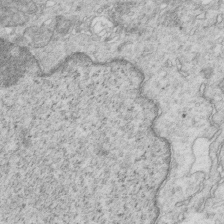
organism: Mouse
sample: Multiciliated cells